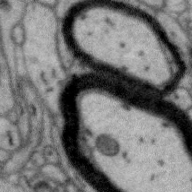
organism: Zebra finch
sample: Brain